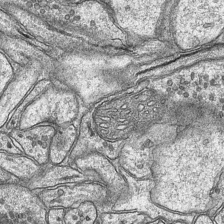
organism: Mouse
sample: CA1 Hippocampus